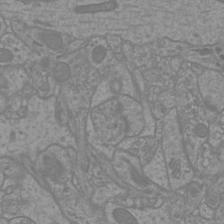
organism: Mouse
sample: Cortical neurons